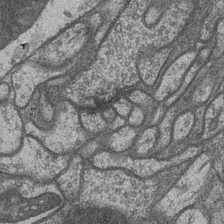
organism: Drosophila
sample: Optic medulla